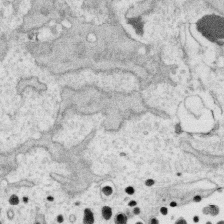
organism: Human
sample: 1205lu cells